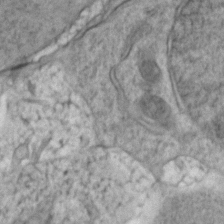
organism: Zebrafish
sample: Zebrafish embryo